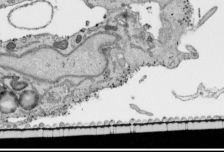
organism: Human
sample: Mitochondria in HCT116 cells